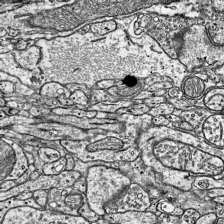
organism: Mouse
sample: Visual Cortex